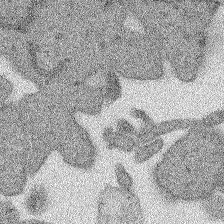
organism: Human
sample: HeLa cells